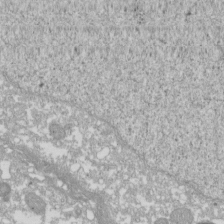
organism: Xenopus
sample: Cilia; centrioles in frog embryo cells